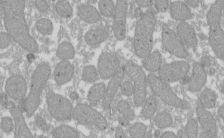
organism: Xenopus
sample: Cilia; centrioles in frog embryo cells